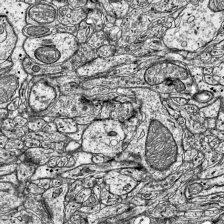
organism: Mouse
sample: Visual Cortex